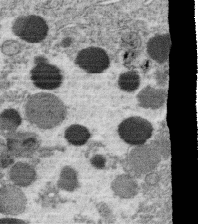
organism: C. elegans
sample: C. elegans oocyte; sperm cells